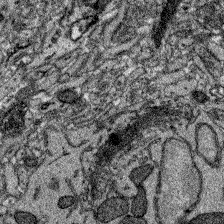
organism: Zebrafish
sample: Larval olfactory bulb